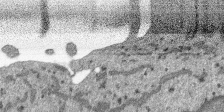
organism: Human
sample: Lung epithelial cells infected with SARS-CoV-2